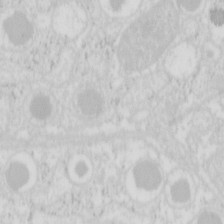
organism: Mouse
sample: Pancreas